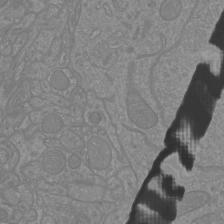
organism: Mouse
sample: Cortical neurons